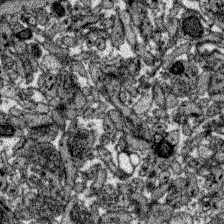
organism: Zebrafish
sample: Larval olfactory bulb